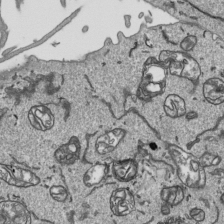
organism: Human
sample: Mitochondria in HCT116 cells